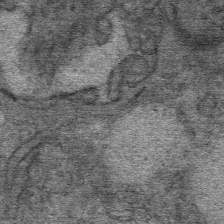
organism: Mouse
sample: Mouse Salivary gland